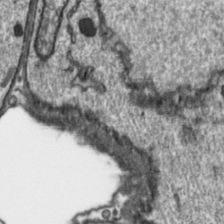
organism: Toxoplasma gondii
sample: Parasites in a vacuole inside a host cell